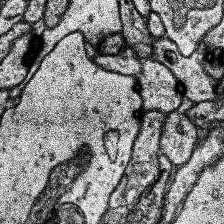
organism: Human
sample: Temporal Lobe